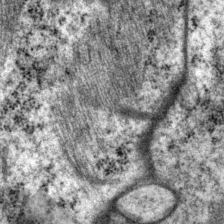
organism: P. pacificus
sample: Pharynx